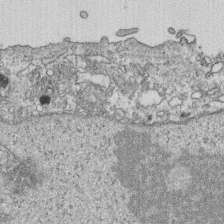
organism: Human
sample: HeLa cell HIV synapse